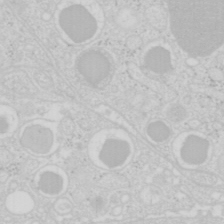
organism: Mouse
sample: Pancreas